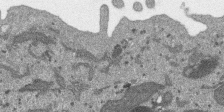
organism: Human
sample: Lung epithelial cells infected with SARS-CoV-2